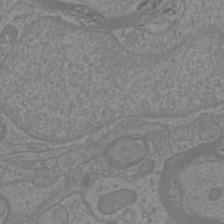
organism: Mouse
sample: Cortical neurons